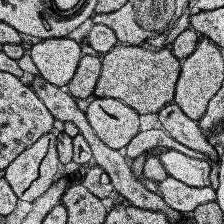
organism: Human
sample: Temporal Lobe